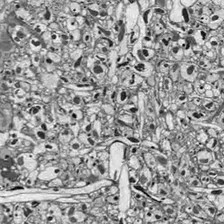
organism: Drosophila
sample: Optic lobe